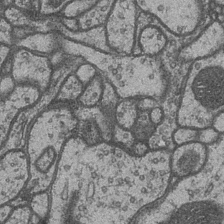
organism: Drosophila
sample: Optic medulla